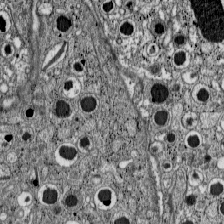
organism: C57BL Mouse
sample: Pancreatic islet